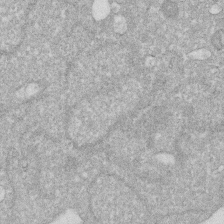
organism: Human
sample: HIV infected U937 cells